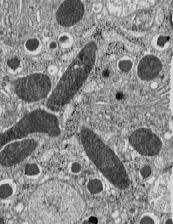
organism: C57BL Mouse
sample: Pancreatic islet